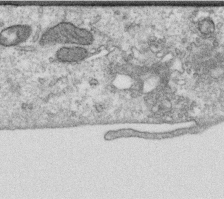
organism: Human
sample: Centriole in RPE cells